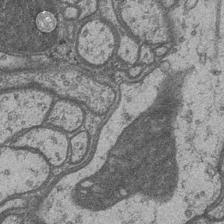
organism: Drosophila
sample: Optic medulla